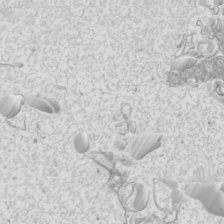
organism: Mouse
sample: Cilia; mouse epididymis